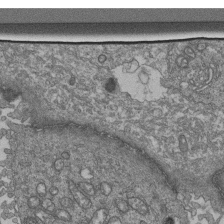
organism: Human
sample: Retinal organoid Rod and Cone cells